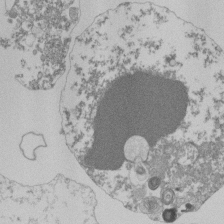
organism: Mouse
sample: Activated Pmel transgenic CD8+ T Cells